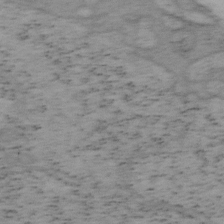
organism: Mouse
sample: OT-I killer T cells with ID8 ovarian cancer cells